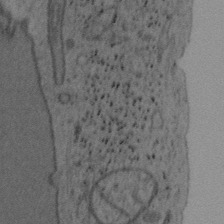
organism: Human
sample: HeLa cells